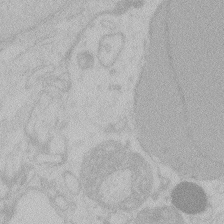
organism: Zebrafish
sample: Macrophage infected with Toxoplasma gondii